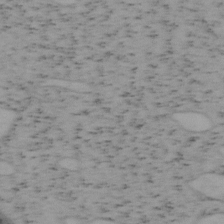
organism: Mouse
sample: OT-I killer T cells with ID8 ovarian cancer cells